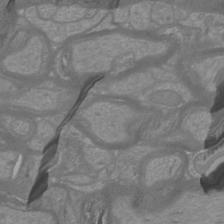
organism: Mouse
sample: Cortical neurons